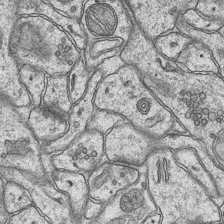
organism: Mouse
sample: CA1 Hippocampus